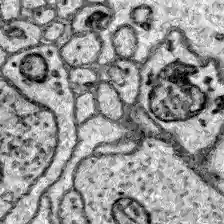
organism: Zebrafish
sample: Brain